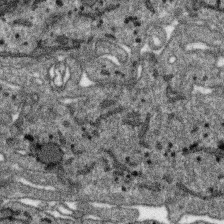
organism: Human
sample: Lung epithelial cells infected with SARS-CoV-2